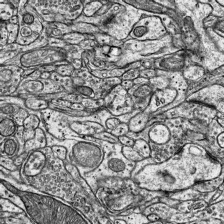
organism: Mouse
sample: Visual Cortex